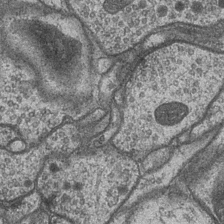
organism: Drosophila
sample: Optic medulla